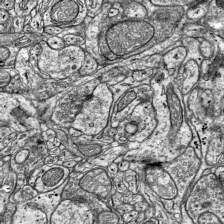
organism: Mouse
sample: Visual Cortex